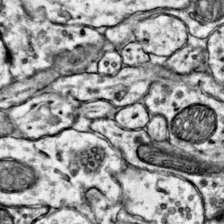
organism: Mouse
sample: Primary visual cortex